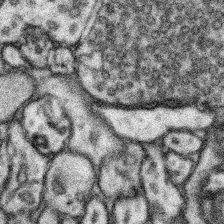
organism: Mouse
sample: Somatosensory cortex neuropil